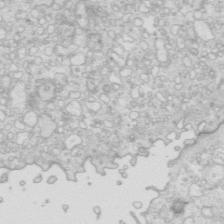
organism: Mouse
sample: Multiciliated cells